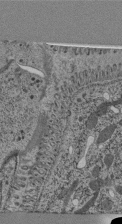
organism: C. elegans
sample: C. elegans pharynx